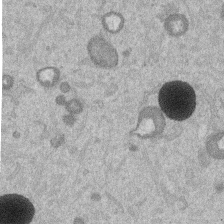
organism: Mouse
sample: Dividing mouse embryo 1 cell stage